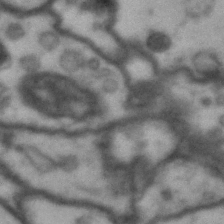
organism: Drosophila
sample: Brain